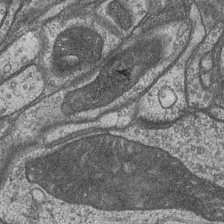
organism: Drosophila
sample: Optic medulla